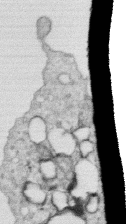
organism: Human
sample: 1205lu cells